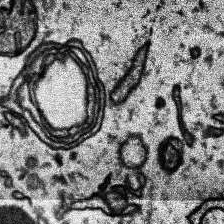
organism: Human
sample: Temporal Lobe